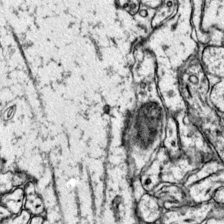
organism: Mouse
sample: Primary visual cortex